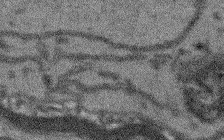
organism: Arabidopsis thaliana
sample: Root tip